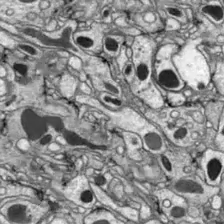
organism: Drosophila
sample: Optic lobe